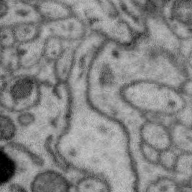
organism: Zebra finch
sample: Brain